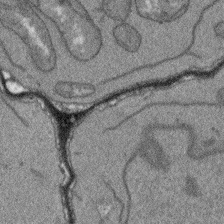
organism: Arabidopsis thaliana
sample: Root tip